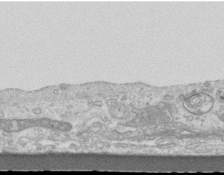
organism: Mouse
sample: Centriole in ependymal cells